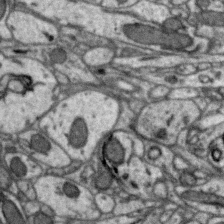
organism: Zebra finch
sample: Brain